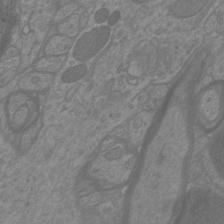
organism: Mouse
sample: Cortical neurons